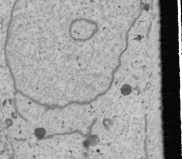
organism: Human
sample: Mitochondria in U2OS cells